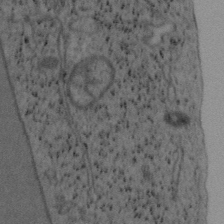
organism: Human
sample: HeLa cells